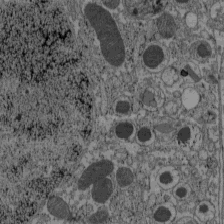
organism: C57BL Mouse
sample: Pancreatic islet